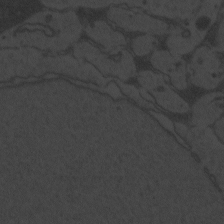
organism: Zebrafish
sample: Macrophage infected with Toxoplasma gondii